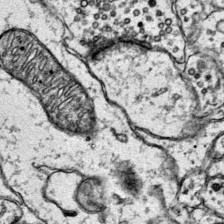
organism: Mouse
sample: Primary visual cortex